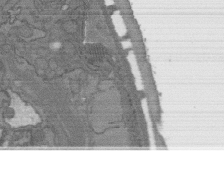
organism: C. elegans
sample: AFD neurons C. elegans